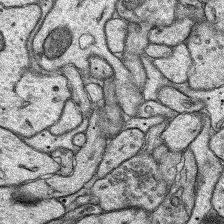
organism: Rat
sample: Hippocampus